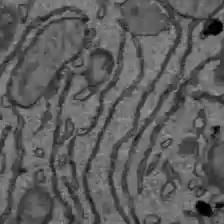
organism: C57BL Mouse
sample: Liver